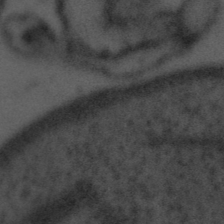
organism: Tuwongella immobilis